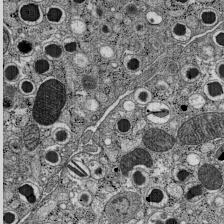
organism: C57BL Mouse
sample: Pancreatic islet